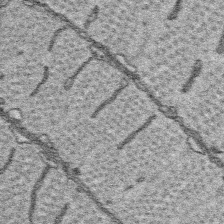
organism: Platynereis dumerilii